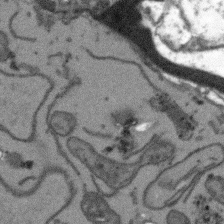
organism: Arabidopsis thaliana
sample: Root tip